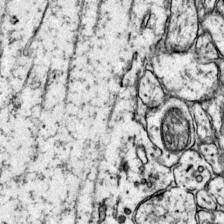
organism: Mouse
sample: Primary visual cortex